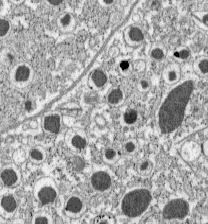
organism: C57BL Mouse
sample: Pancreatic islet